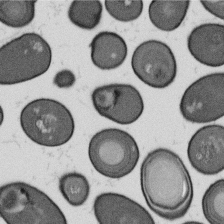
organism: B. subtilis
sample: Bacterial spore